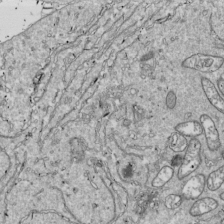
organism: Drosophila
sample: Cell division; meiosis; drosophila spermatocytes